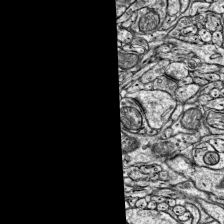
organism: Mouse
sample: Visual Cortex